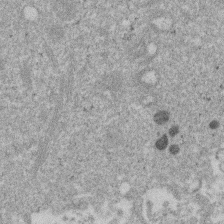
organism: Mouse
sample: Dividing mouse embryo 1 cell stage